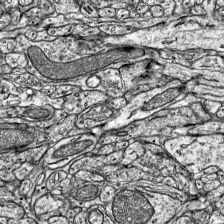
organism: Mouse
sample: Visual Cortex